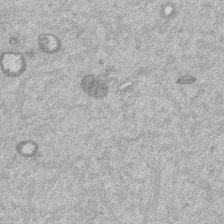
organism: Mouse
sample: Dividing mouse embryo 1 cell stage